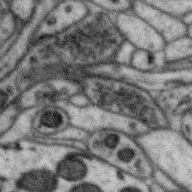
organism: Zebra finch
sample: Brain